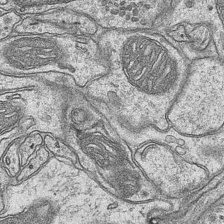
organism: Mouse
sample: CA1 Hippocampus